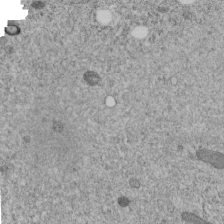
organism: C. elegans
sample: C. elegans embryo early stage